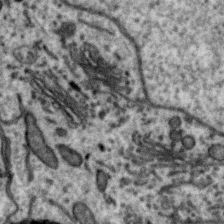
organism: Zebra finch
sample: Brain